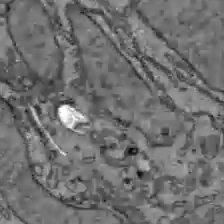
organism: C57BL Mouse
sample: Liver